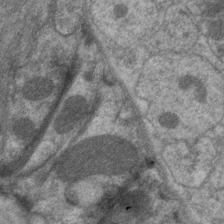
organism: C. elegans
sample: Pharynx